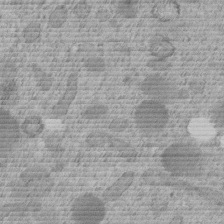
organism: C. elegans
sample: C. elegans embryo early stage